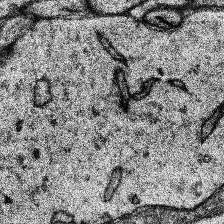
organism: Human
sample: Temporal Lobe